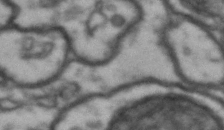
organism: Drosophila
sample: Brain